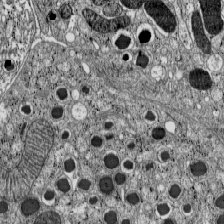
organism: C57BL Mouse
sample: Pancreatic islet